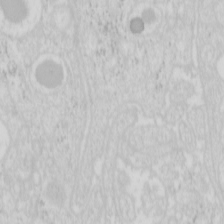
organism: Mouse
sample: Pancreas